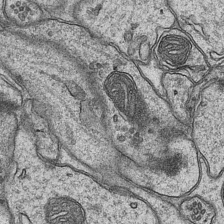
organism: Mouse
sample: CA1 Hippocampus